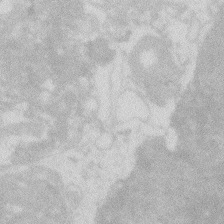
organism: Zebrafish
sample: Macrophage